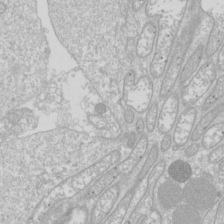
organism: Drosophila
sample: Cell division; meiosis; drosophila spermatocytes